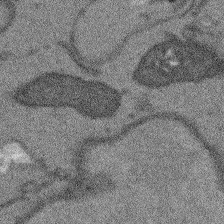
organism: Arabidopsis thaliana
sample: Root tip